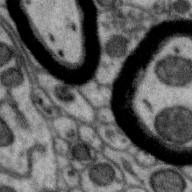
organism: Zebra finch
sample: Brain